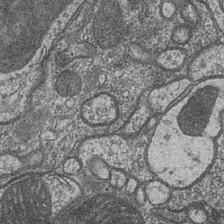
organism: Drosophila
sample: Optic medulla